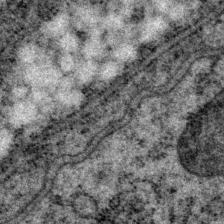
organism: P. pacificus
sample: Pharynx